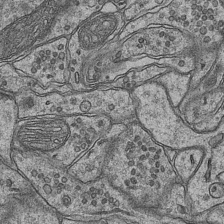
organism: Mouse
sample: CA1 Hippocampus